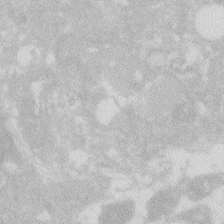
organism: Zebrafish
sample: Macrophage